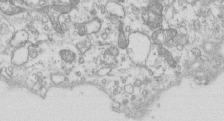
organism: Mouse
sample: Macrophages